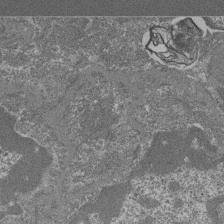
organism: Mouse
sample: Glomerulus